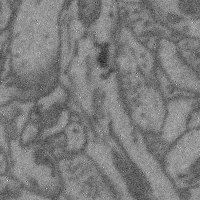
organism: Mouse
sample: Cerebral cortex